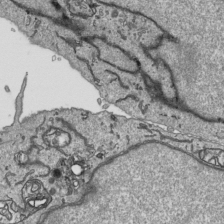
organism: Human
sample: Mitochondria in HCT116 cells